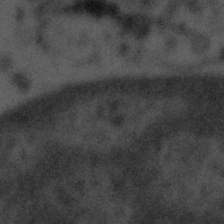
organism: Tuwongella immobilis